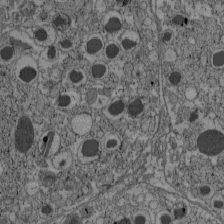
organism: C57BL Mouse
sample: Pancreatic islet